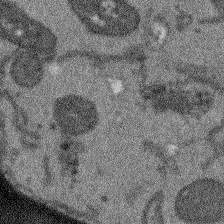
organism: Arabidopsis thaliana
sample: Root tip